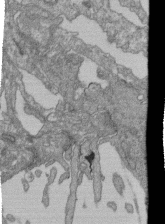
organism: Human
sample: Retinal organoid Rod and Cone cells